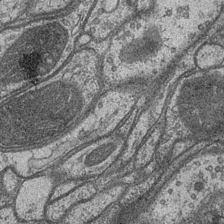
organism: Drosophila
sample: Optic medulla